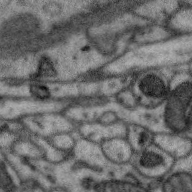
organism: Zebra finch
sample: Brain